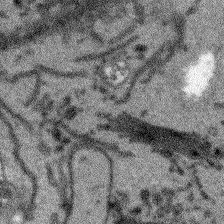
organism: Arabidopsis thaliana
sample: Root tip